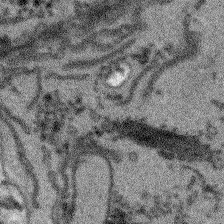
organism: Arabidopsis thaliana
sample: Root tip